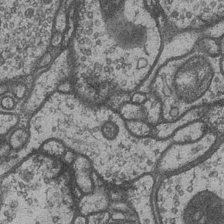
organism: Drosophila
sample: Optic medulla